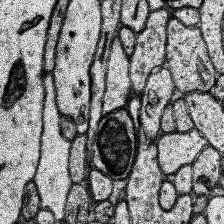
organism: Human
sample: Temporal Lobe